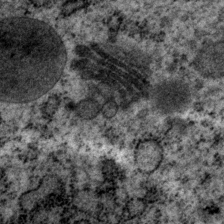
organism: P. pacificus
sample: Pharynx